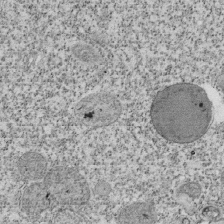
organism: Tetrahymena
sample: Cilia in tetrahymena